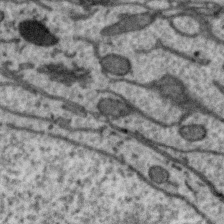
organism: Zebra finch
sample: Brain